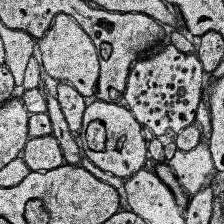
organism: Human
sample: Temporal Lobe